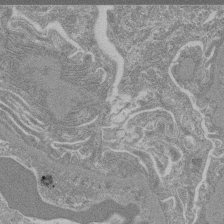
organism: Mouse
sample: Glomerulus